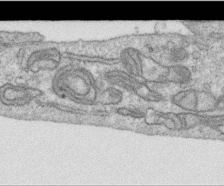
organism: Human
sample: Centriole in RPE cells